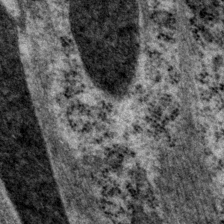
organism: P. pacificus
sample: Pharynx